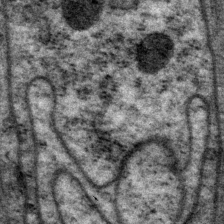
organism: P. pacificus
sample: Pharynx